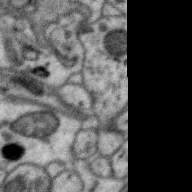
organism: Zebra finch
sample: Brain